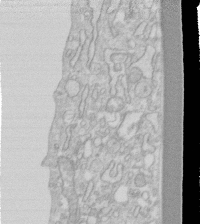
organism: Human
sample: Fibroblast cells